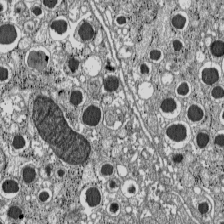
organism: C57BL Mouse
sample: Pancreatic islet